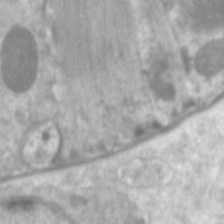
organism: C. elegans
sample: Pharynx